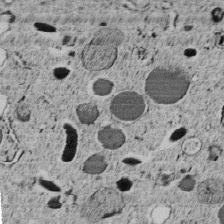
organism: C. elegans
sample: C. elegans embryo early stage